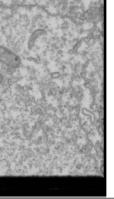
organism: Drosophila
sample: Cell division; meiosis; drosophila spermatocytes